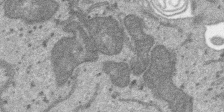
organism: Human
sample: Lung epithelial cells infected with SARS-CoV-2